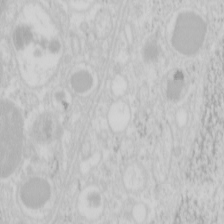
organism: Mouse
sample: Pancreas